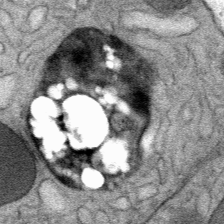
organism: Mouse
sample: Mouse Salivary gland